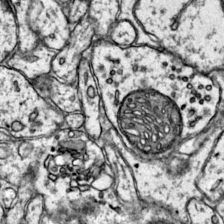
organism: Mouse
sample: Primary visual cortex